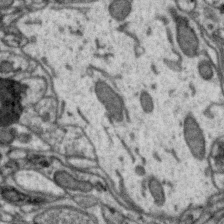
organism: Zebra finch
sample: Brain